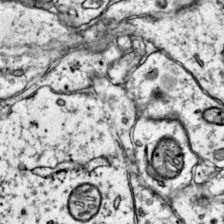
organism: Mouse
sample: Primary visual cortex